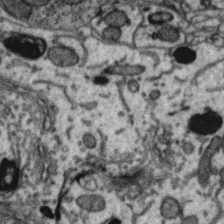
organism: Zebra finch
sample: Brain